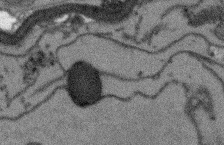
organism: Arabidopsis thaliana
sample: Root tip